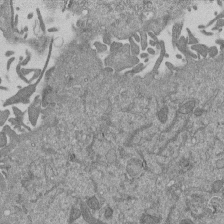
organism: Mouse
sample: ED-1 cell nuclei; centrioles